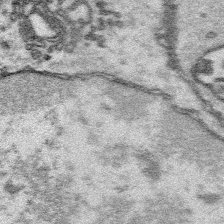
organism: Platynereis dumerilii